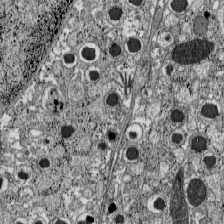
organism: C57BL Mouse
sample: Pancreatic islet